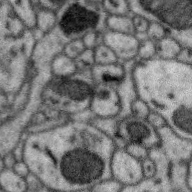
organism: Zebra finch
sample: Brain